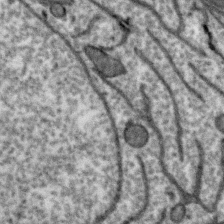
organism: Zebra finch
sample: Brain